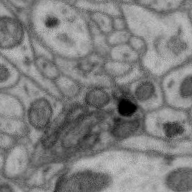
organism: Zebra finch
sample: Brain